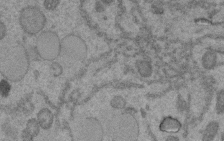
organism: C. elegans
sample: C. elegans embryo early stage